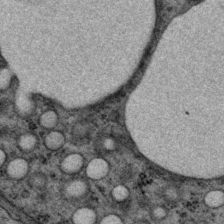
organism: P. pacificus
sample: Pharynx